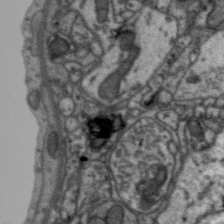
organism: Zebra finch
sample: Brain